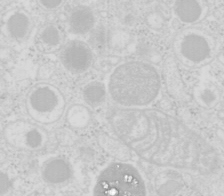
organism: Mouse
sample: Pancreas